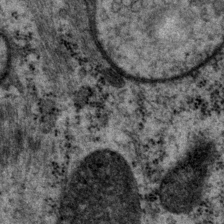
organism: P. pacificus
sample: Pharynx